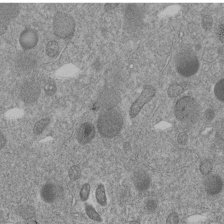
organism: C. elegans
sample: C. elegans embryo early stage